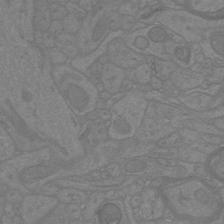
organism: Mouse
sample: Cortical neurons